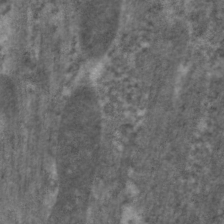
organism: C. elegans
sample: Pharynx